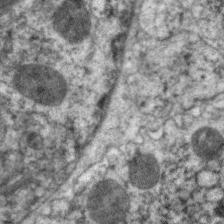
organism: C. elegans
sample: Pharynx